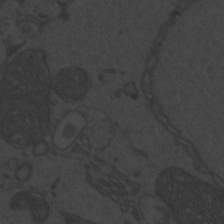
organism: Zebrafish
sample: Macrophage infected with Toxoplasma gondii